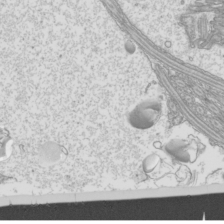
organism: Mouse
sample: Cilia; mouse epididymis